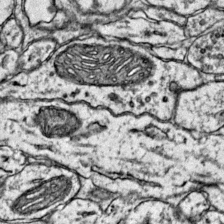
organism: Mouse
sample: Primary visual cortex